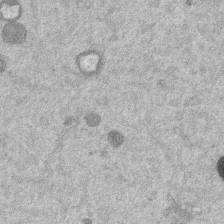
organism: Mouse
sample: Dividing mouse embryo 1 cell stage